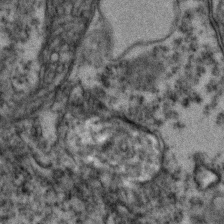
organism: Zebrafish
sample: Zebrafish embryo